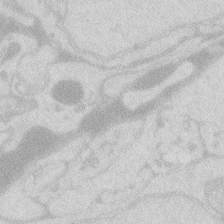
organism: Zebrafish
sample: Macrophage